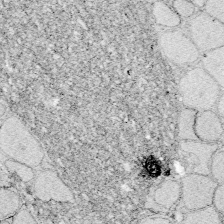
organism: Zebrafish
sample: Whole-Brain